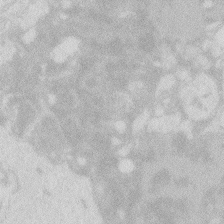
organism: Zebrafish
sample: Macrophage